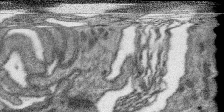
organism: Human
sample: Lung epithelial cells infected with SARS-CoV-2